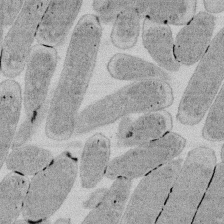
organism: E. coli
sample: Bacterial nucleoid